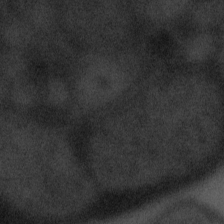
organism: Tuwongella immobilis